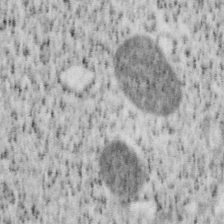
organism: Mouse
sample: OT-I killer T cells with ID8 ovarian cancer cells